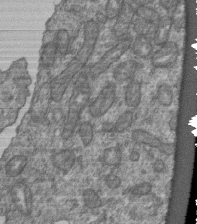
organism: Human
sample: Retinal organoid Rod and Cone cells